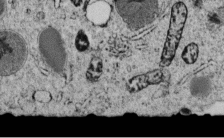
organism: C. elegans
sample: C. elegans embryo early stage